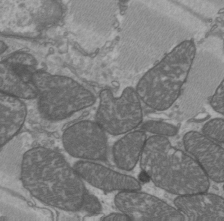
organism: C57BL Mouse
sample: Heart